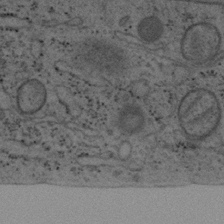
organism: Human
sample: HeLa cells